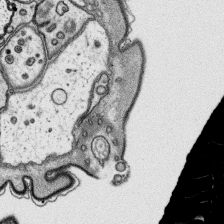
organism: Platynereis dumerilii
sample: Parapodia